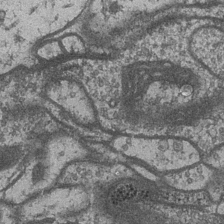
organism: Drosophila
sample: Optic medulla